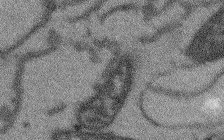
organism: Arabidopsis thaliana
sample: Root tip